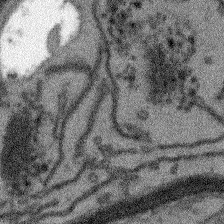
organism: Arabidopsis thaliana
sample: Root tip